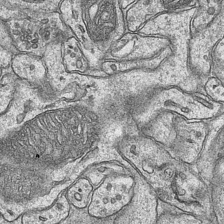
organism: Mouse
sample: CA1 Hippocampus